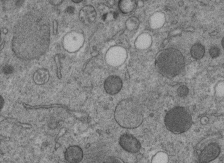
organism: C. elegans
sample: C. elegans embryo early stage